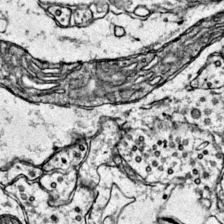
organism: Mouse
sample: Primary visual cortex